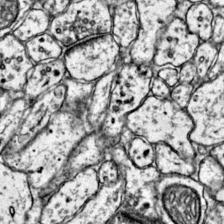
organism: Mouse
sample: Primary visual cortex